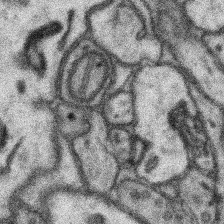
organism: Mouse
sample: Somatosensory cortex neuropil